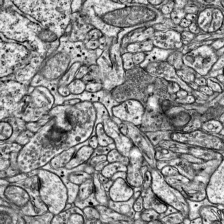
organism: Mouse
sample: Visual Cortex